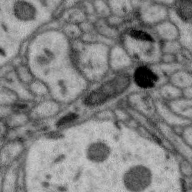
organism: Zebra finch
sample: Brain